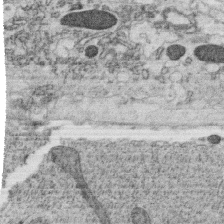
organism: C. elegans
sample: C. elegans oocyte; sperm cells